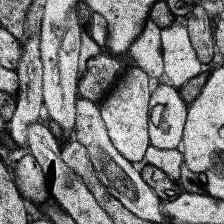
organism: Human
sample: Temporal Lobe